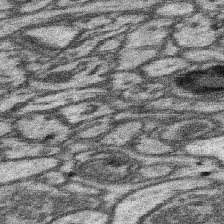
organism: Mouse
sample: Somatosensory cortex neuropil